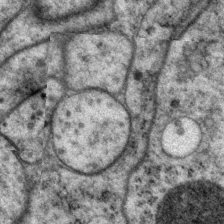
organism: P. pacificus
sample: Pharynx